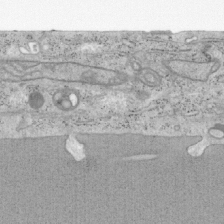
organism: Human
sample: HeLa cells